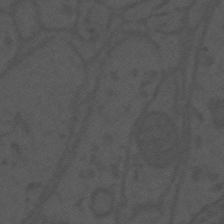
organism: Mouse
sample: Suprachiasmatic nucleus